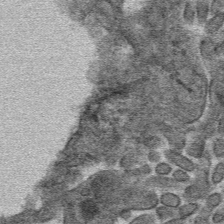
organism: Mouse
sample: Mouse hepatocytes